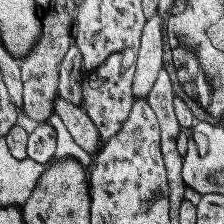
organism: Human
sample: Temporal Lobe